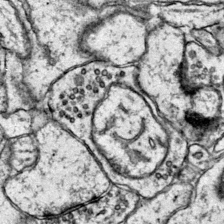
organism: Mouse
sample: Primary visual cortex